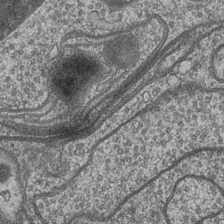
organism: Drosophila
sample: Optic medulla